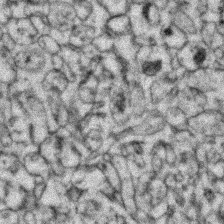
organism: Zebrafish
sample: Zebrafish embryo